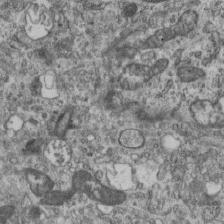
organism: Mouse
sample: Centriole in ependymal cells